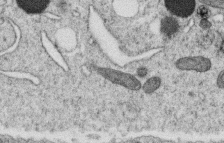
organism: C. elegans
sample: C. elegans oocyte; sperm cells